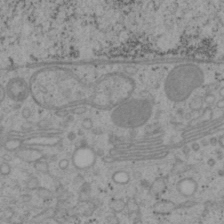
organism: Human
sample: HeLa cells